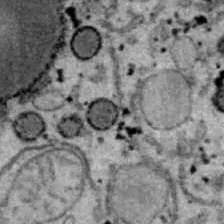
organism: Mouse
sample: Liver from an obese (ob/ob) mouse